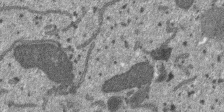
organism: Human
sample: Lung epithelial cells infected with SARS-CoV-2